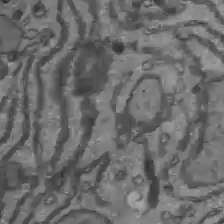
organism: C57BL Mouse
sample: Liver